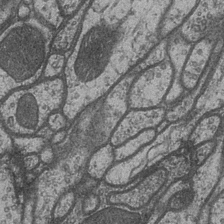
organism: Drosophila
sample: Optic medulla